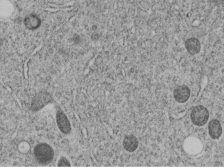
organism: C. elegans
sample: C. elegans embryo early stage